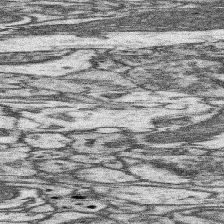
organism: Mouse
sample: Somatosensory cortex neuropil